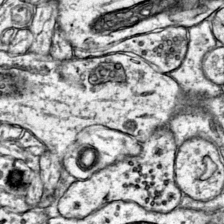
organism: Mouse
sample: Primary visual cortex